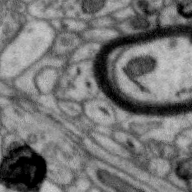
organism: Zebra finch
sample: Brain